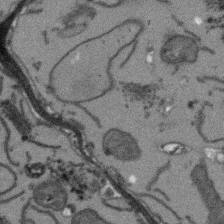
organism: Arabidopsis thaliana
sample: Root tip